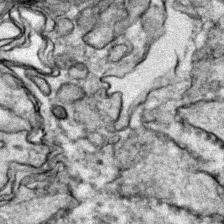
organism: Zebrafish